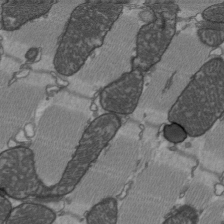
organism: C57BL Mouse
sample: Heart